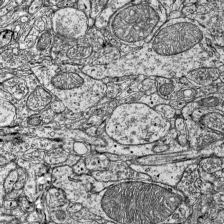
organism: Mouse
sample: Visual Cortex